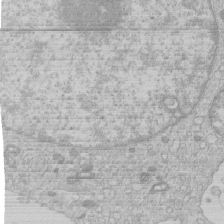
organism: Human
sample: Macrophage cells